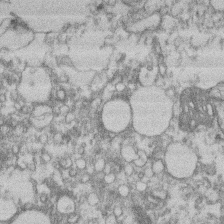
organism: Mouse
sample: T cell stromal cell synapse